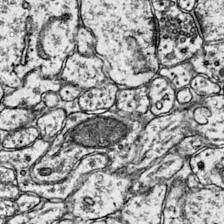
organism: Mouse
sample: Primary visual cortex